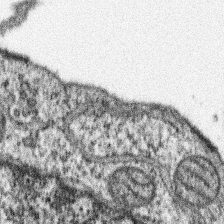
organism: Human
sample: HeLa cells